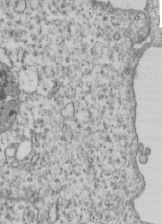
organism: Human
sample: MDA-MB-231 cells